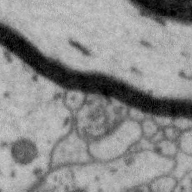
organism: Zebra finch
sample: Brain